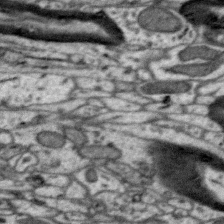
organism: Zebra finch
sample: Brain